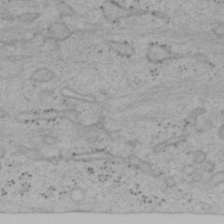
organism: Human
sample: HeLa cells